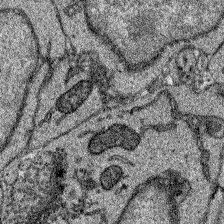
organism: Zebrafish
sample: Larval olfactory bulb